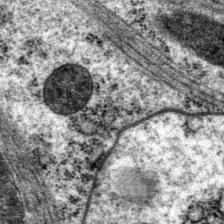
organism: P. pacificus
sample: Pharynx